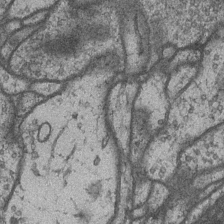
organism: Drosophila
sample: Optic medulla